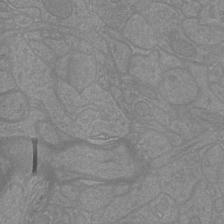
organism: Mouse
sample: Cortical neurons